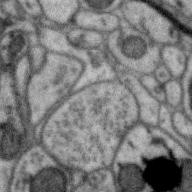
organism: Zebra finch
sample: Brain